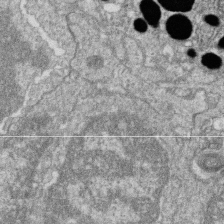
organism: Zebrafish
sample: Cilia; retinal pigment epithelium